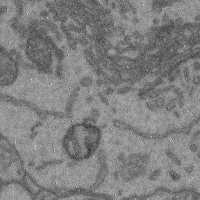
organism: Mouse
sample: Cerebral cortex